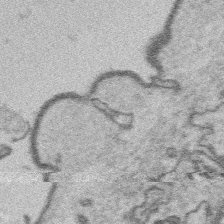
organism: Platynereis dumerilii